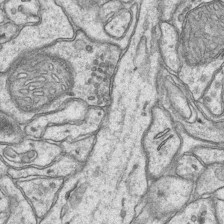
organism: Mouse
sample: CA1 Hippocampus